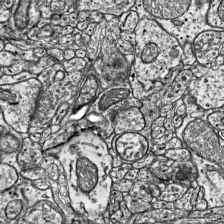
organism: Mouse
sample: Visual Cortex